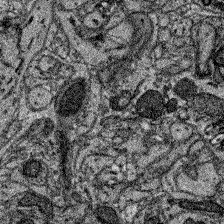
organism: Zebrafish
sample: Larval olfactory bulb